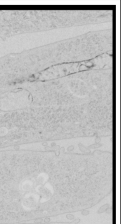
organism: Human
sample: Mitochondria in HCT116 cells